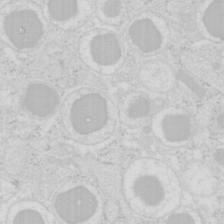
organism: Mouse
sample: Pancreas